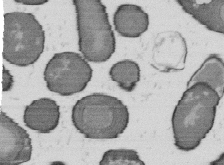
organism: B. subtilis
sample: Bacterial spore